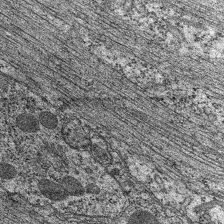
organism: C. elegans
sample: Pharynx